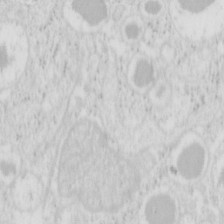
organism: Mouse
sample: Pancreas